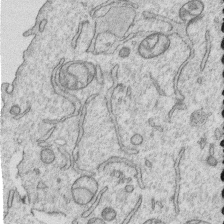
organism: Human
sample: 1205lu cells